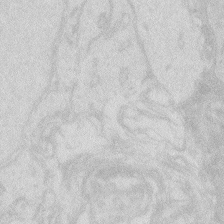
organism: Zebrafish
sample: Macrophage